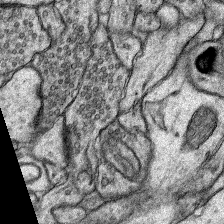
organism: Rat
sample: Hippocampus